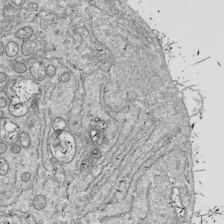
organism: Drosophila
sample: Cell division; meiosis; drosophila spermatocytes